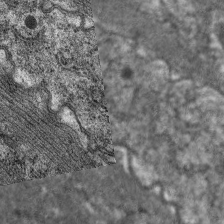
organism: C. elegans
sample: Pharynx